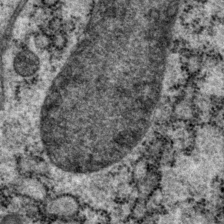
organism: P. pacificus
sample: Pharynx